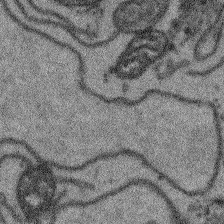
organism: Arabidopsis thaliana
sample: Root tip